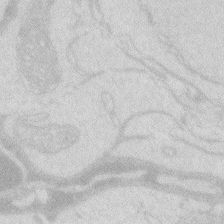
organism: Zebrafish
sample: Macrophage